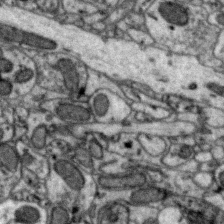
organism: Zebra finch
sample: Brain